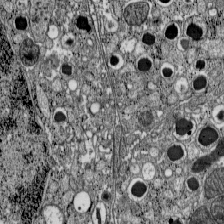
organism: C57BL Mouse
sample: Pancreatic islet